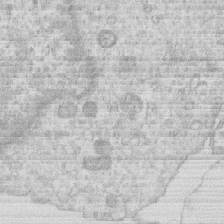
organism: Human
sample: Macrophage cells